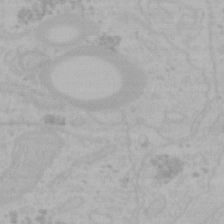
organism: Mouse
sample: Choroid plexus